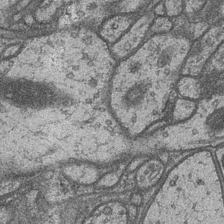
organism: Drosophila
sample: Optic medulla